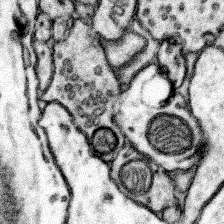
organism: Mouse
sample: Somatosensory cortex neuropil